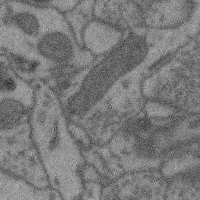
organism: Mouse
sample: Cerebral cortex